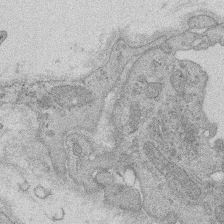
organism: Rat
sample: Salivary granule